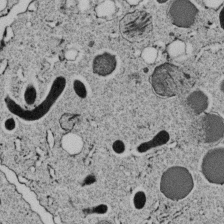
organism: C. elegans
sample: C. elegans embryo early stage